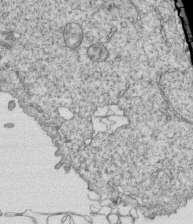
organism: Human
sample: HeLa cell HIV synapse